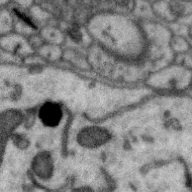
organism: Zebra finch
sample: Brain